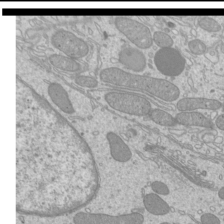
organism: Mouse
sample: Cilia; mouse epididymis